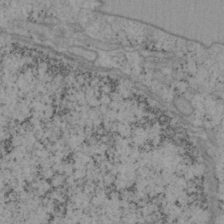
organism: Human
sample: HeLa cells